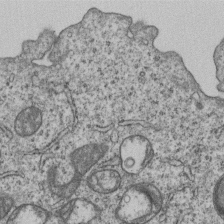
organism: Human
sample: MDA-MB-231 cells